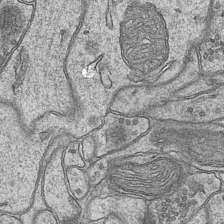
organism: Mouse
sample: CA1 Hippocampus